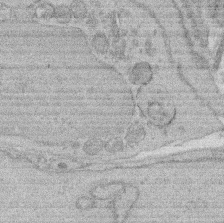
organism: Rat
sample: Salivary granule